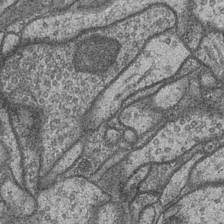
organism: Drosophila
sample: Optic medulla